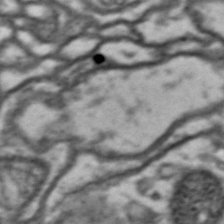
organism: Drosophila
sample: Brain